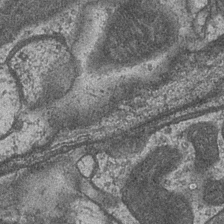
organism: Drosophila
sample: Optic medulla